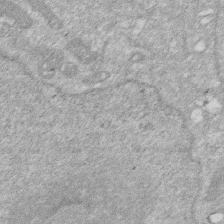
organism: Human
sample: HIV infected U937 cells